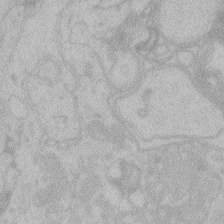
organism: Zebrafish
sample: Macrophage infected with Toxoplasma gondii